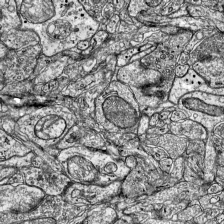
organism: Mouse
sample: Visual Cortex